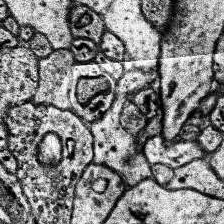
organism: Human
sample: Temporal Lobe